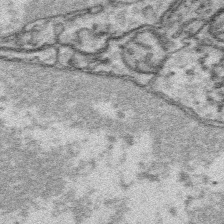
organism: Platynereis dumerilii